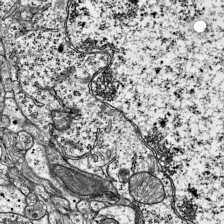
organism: Mouse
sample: Visual Cortex